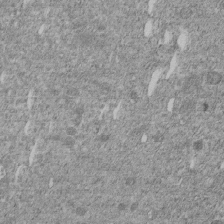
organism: C. elegans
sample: C. elegans embryo early stage